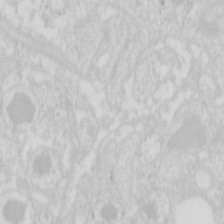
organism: Mouse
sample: Pancreas